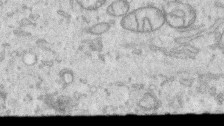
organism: Human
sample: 1205lu cells